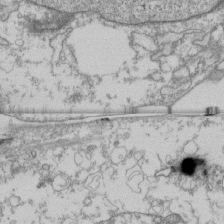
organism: Human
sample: Fibroblast cells